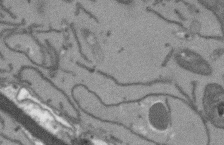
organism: Arabidopsis thaliana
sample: Root tip